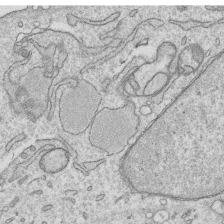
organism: Human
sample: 1205lu cells